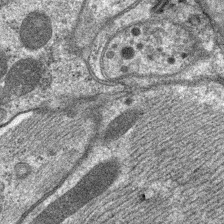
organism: C. elegans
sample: Pharynx